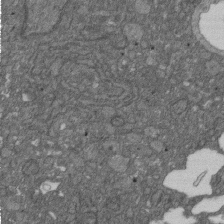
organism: Drosophila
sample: Nephrocyte